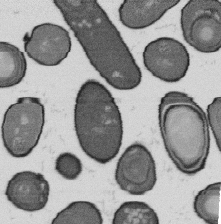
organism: B. subtilis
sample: Bacterial spore